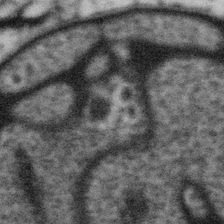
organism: Gemmata obscuriglobus